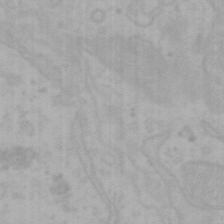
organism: Mouse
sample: Choroid plexus